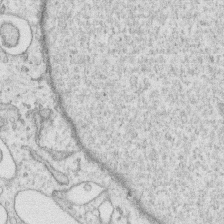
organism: Human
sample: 1205lu cells